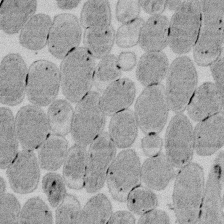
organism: E. coli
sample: Bacterial nucleoid